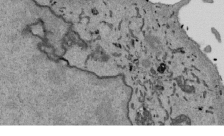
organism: Mouse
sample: ED-1 cell nuclei; centrioles